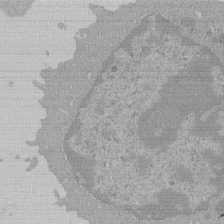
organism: Mouse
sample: Activated Pmel transgenic CD8+ T Cells